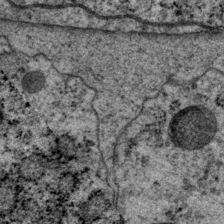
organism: P. pacificus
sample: Pharynx